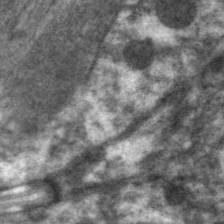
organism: C. elegans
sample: Pharynx